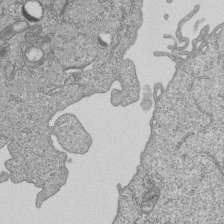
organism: Human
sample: MDA-MB-231 cells